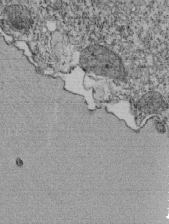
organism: Tetrahymena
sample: Cilia in tetrahymena